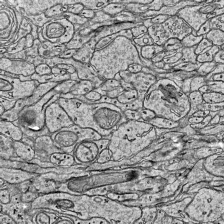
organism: Mouse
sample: Visual Cortex